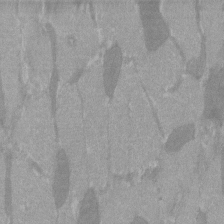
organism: C57BL Mouse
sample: Tibialis anterior muscle cell